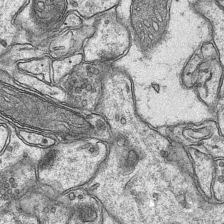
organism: Mouse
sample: CA1 Hippocampus